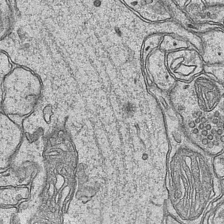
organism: Mouse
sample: CA1 Hippocampus